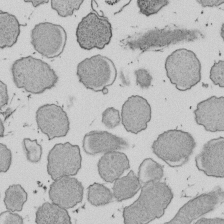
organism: E. coli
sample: Bacterial nucleoid